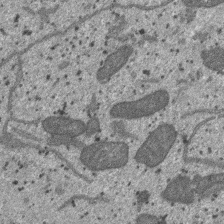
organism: Human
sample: Lung epithelial cells infected with SARS-CoV-2